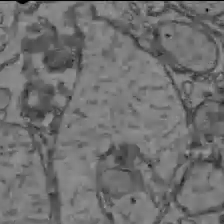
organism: C57BL Mouse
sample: Liver